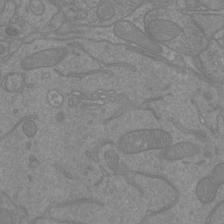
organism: Mouse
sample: Cortical neurons